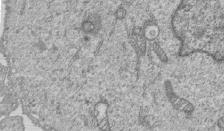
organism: Human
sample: MDA-MB-231 cells